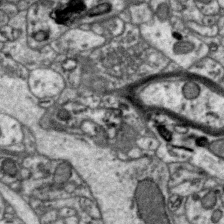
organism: Zebra finch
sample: Brain